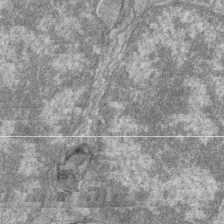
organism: Zebrafish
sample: Cilia; retinal pigment epithelium